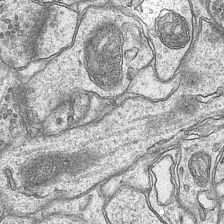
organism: Mouse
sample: CA1 Hippocampus